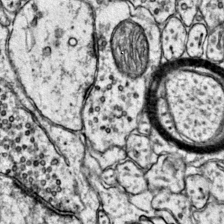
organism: Mouse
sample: Primary visual cortex